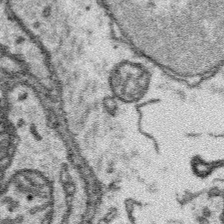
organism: Platynereis dumerilii